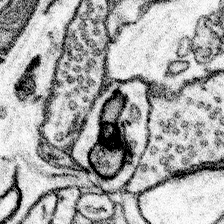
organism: Mouse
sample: Somatosensory cortex neuropil